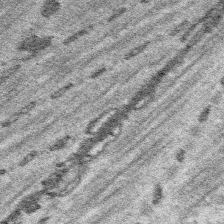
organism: Platynereis dumerilii